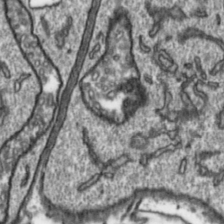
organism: Toxoplasma gondii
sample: Parasites in a vacuole inside a host cell